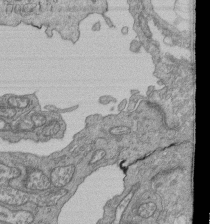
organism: Human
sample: Retinal organoid Rod and Cone cells